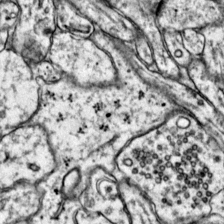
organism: Mouse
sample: Primary visual cortex